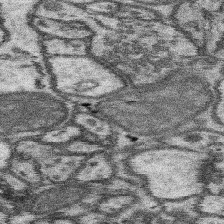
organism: Mouse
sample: Somatosensory cortex neuropil